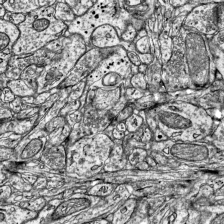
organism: Mouse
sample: Visual Cortex